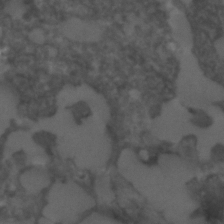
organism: C. elegans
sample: C. elegans embryo